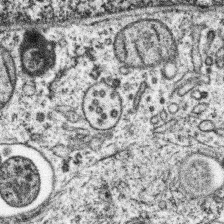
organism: Human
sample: HeLa cells